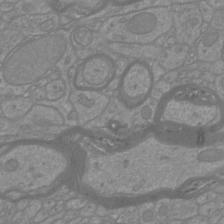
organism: Mouse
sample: Cortical neurons